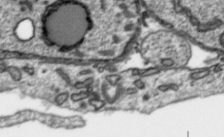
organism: Toxoplasma gondii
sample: Parasites in a vacuole inside a host cell